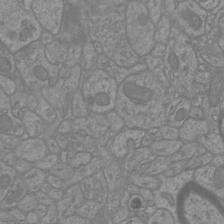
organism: Mouse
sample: Cortical neurons